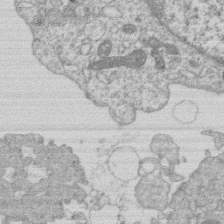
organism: Human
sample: Macrophage cells